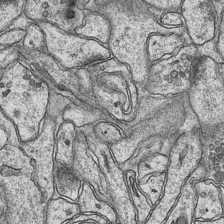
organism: Mouse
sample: CA1 Hippocampus